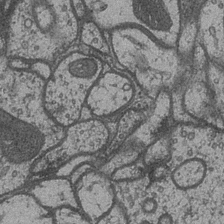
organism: Drosophila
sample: Optic medulla